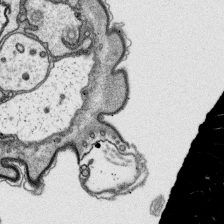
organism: Platynereis dumerilii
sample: Parapodia